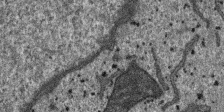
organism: Human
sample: Lung epithelial cells infected with SARS-CoV-2